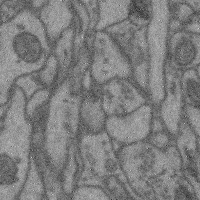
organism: Mouse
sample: Cerebral cortex